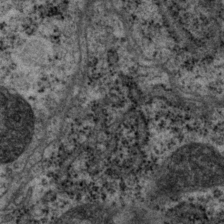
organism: P. pacificus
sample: Pharynx